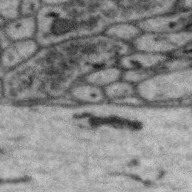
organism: Zebra finch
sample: Brain